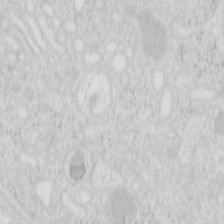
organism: Mouse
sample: Pancreas